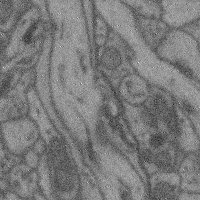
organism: Mouse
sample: Cerebral cortex